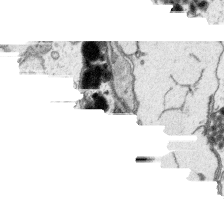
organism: Platynereis dumerilii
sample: Parapodia